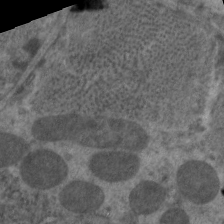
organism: C. elegans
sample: Pharynx